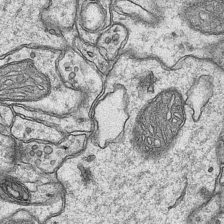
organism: Mouse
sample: CA1 Hippocampus